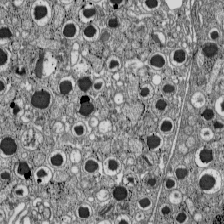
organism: C57BL Mouse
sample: Pancreatic islet